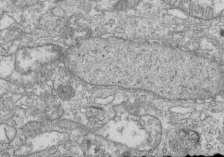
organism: Human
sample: HeLa cell HIV synapse